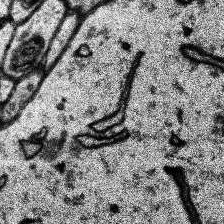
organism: Human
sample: Temporal Lobe